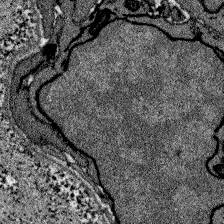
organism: Zebrafish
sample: Larval olfactory bulb